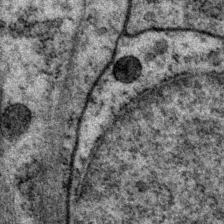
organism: P. pacificus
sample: Pharynx